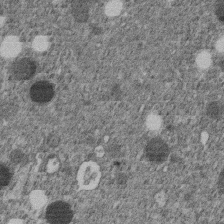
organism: C. elegans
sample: C. elegans embryo early stage